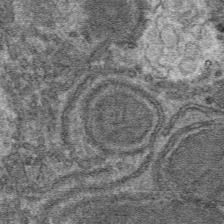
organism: Mouse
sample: Mouse hepatocytes